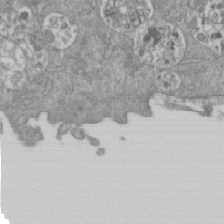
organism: Mouse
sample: ED-1 cell nuclei; centrioles